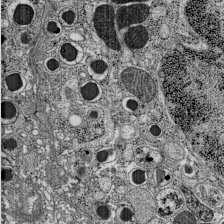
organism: C57BL Mouse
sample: Pancreatic islet